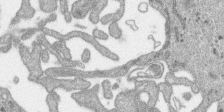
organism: Human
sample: Lung epithelial cells infected with SARS-CoV-2